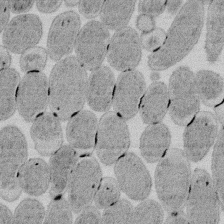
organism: E. coli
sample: Bacterial nucleoid